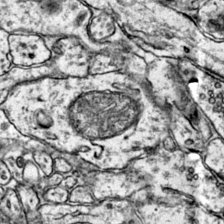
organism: Mouse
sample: Primary visual cortex